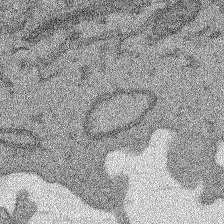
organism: Human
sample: HeLa cells